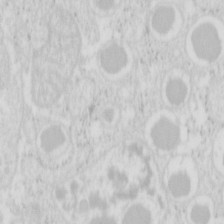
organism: Mouse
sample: Pancreas